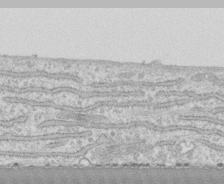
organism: Human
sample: CRL-1474